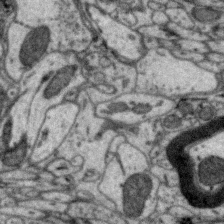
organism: Zebra finch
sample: Brain